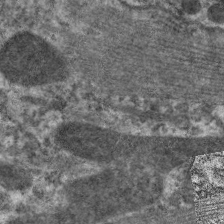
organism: C. elegans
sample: Pharynx